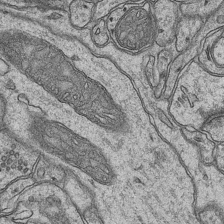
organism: Mouse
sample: CA1 Hippocampus